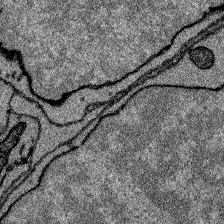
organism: Zebrafish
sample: Larval olfactory bulb